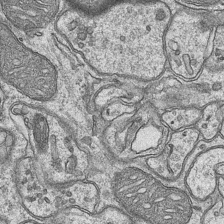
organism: Mouse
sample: CA1 Hippocampus